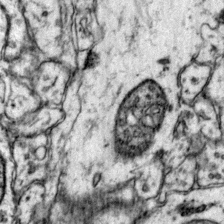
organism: Mouse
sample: Primary visual cortex